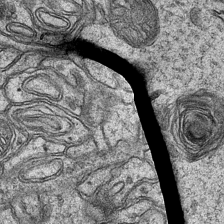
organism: Mouse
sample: CA1 Hippocampus